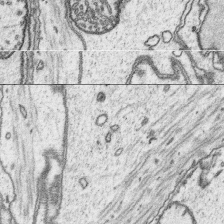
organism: Platynereis dumerilii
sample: Parapodia